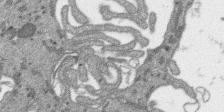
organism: Human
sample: Lung epithelial cells infected with SARS-CoV-2